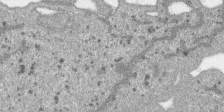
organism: Human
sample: Lung epithelial cells infected with SARS-CoV-2